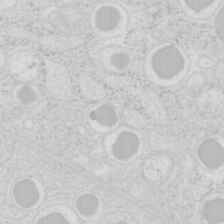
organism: Mouse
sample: Pancreas